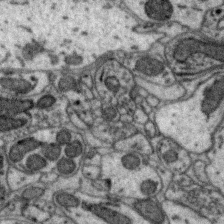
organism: Zebra finch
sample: Brain